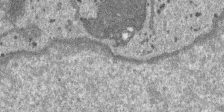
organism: Human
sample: Lung epithelial cells infected with SARS-CoV-2